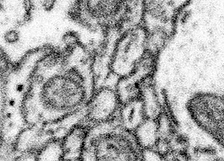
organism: Mouse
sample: Somatosensory cortex neuropil